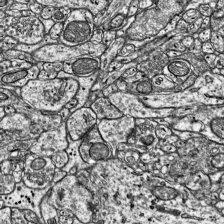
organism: Mouse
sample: Visual Cortex